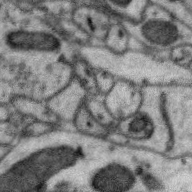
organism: Zebra finch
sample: Brain